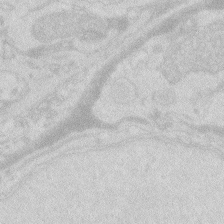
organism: Zebrafish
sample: Macrophage